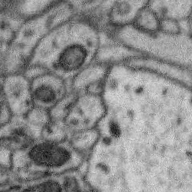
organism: Zebra finch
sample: Brain